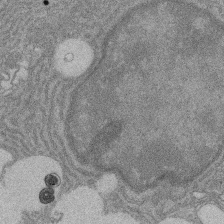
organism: Rat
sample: Salivary granule